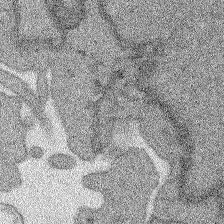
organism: Human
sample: HeLa cells